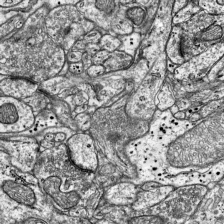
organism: Mouse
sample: Visual Cortex